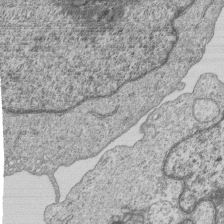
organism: Human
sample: MDA-MB-231 cells